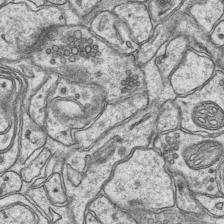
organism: Mouse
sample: CA1 Hippocampus